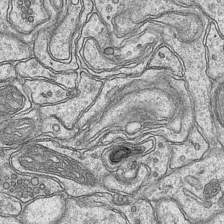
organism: Mouse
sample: CA1 Hippocampus